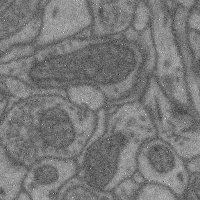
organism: Mouse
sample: Cerebral cortex